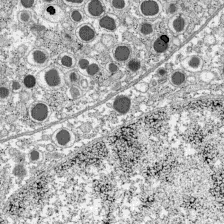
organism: C57BL Mouse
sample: Pancreatic islet